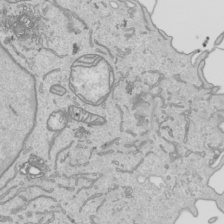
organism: Human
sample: Mitochondria in HCT116 cells